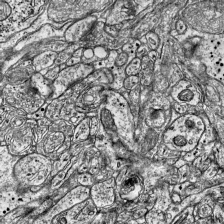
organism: Mouse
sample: Visual Cortex